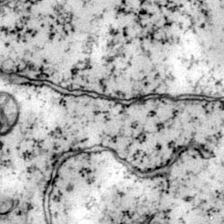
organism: Mouse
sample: Primary visual cortex